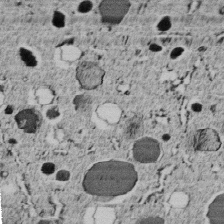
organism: C. elegans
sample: C. elegans embryo early stage